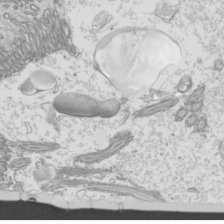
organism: Mouse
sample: Cilia; mouse epididymis